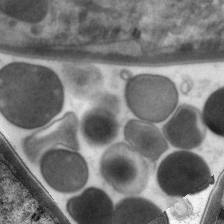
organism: C. elegans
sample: Pharynx